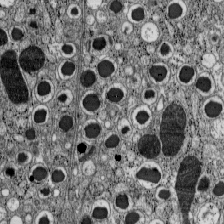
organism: C57BL Mouse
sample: Pancreatic islet